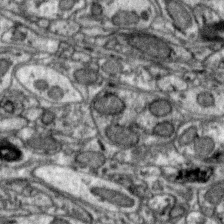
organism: Zebra finch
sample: Brain